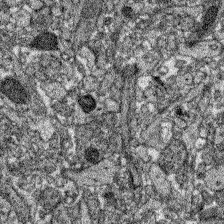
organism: Zebrafish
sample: Larval olfactory bulb